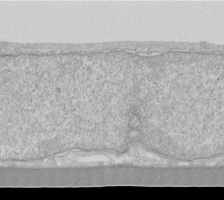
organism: Human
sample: Fibroblast cells